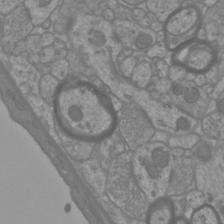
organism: Mouse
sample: Cortical neurons